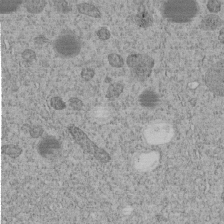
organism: C. elegans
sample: C. elegans embryo early stage